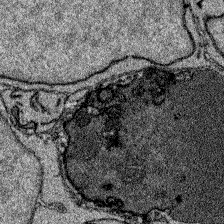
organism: Zebrafish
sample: Larval olfactory bulb